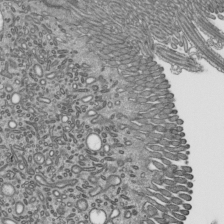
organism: Mouse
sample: Mouse epididymis efferent ductule cilia